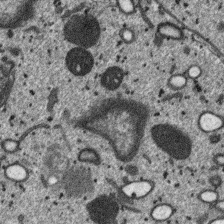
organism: Human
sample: Lung epithelial cells infected with SARS-CoV-2